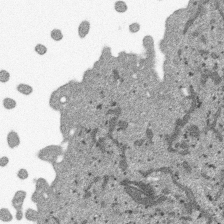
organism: Human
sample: Lung epithelial cells infected with SARS-CoV-2